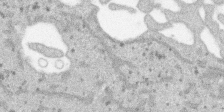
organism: Human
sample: Lung epithelial cells infected with SARS-CoV-2